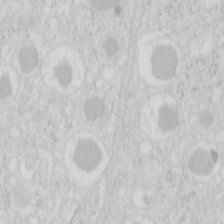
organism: Mouse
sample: Pancreas